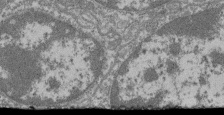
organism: Mouse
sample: Glomerulus